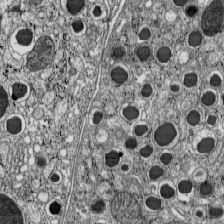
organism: C57BL Mouse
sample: Pancreatic islet